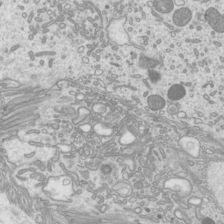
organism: Mouse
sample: Cilia; mouse epididymis